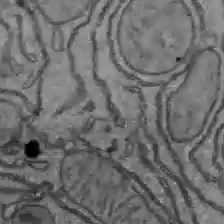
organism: C57BL Mouse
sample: Liver